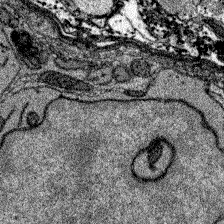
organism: Zebrafish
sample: Larval olfactory bulb